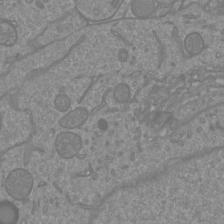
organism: Mouse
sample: Cortical neurons